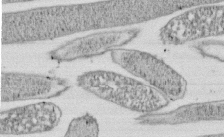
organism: E. coli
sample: Bacterial nucleoid